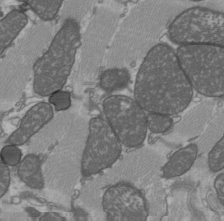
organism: C57BL Mouse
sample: Heart